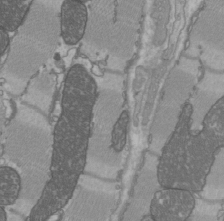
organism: C57BL Mouse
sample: Heart